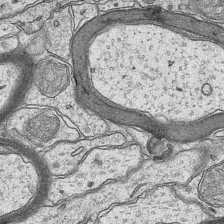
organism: Mouse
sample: CA1 Hippocampus